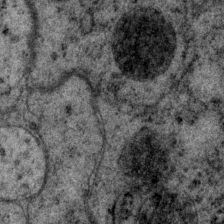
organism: P. pacificus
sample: Pharynx